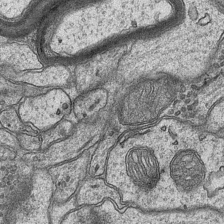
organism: Mouse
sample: CA1 Hippocampus